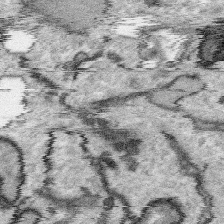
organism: Human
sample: HeLa cells